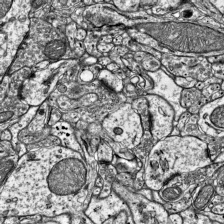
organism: Mouse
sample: Visual Cortex